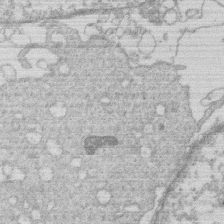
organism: Human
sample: Macrophage cells